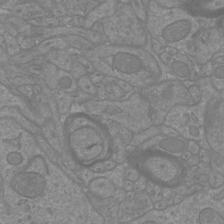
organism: Mouse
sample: Cortical neurons